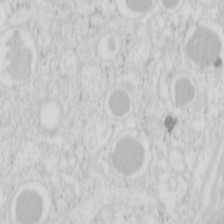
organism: Mouse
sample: Pancreas